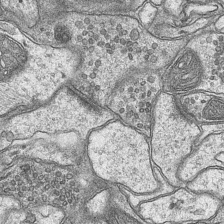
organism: Mouse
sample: CA1 Hippocampus